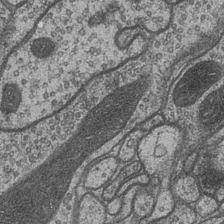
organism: Drosophila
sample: Optic medulla